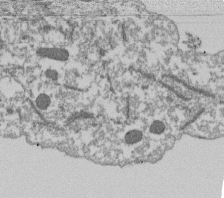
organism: Dictyostelium discoideum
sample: Dictyostelium multivesicular bodies